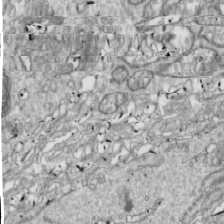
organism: Drosophila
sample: Cell division; meiosis; drosophila spermatocytes